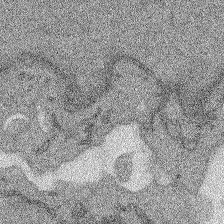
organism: Human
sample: HeLa cells